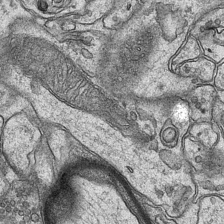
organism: Mouse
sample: CA1 Hippocampus